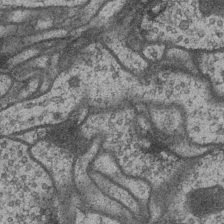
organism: Drosophila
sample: Optic medulla